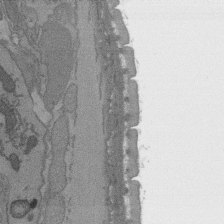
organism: C. elegans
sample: AFD neurons C. elegans